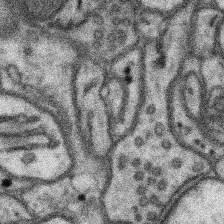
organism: Mouse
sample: Somatosensory cortex neuropil